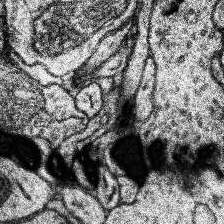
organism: Human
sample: Temporal Lobe